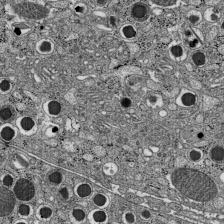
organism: C57BL Mouse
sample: Pancreatic islet